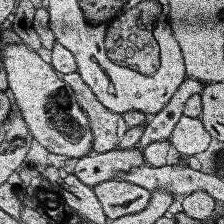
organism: Human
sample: Temporal Lobe